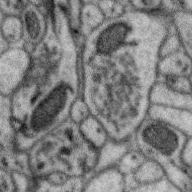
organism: Zebra finch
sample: Brain